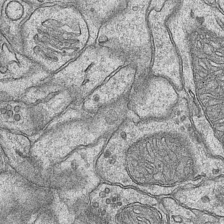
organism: Mouse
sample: CA1 Hippocampus